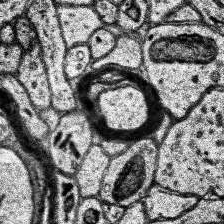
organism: Human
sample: Temporal Lobe